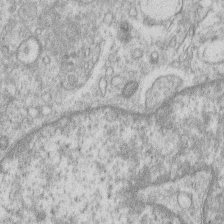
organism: Human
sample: Macrophage cells